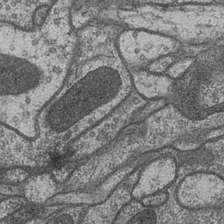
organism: Drosophila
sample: Optic medulla